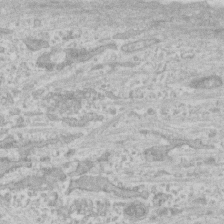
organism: Human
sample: CRL-1474